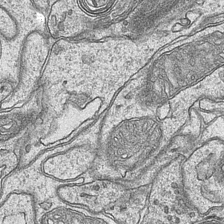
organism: Mouse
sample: CA1 Hippocampus